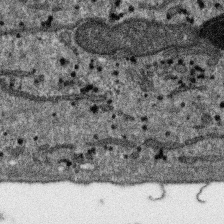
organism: Human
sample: Lung epithelial cells infected with SARS-CoV-2